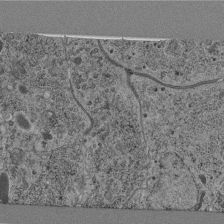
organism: C. elegans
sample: C. elegans pharynx